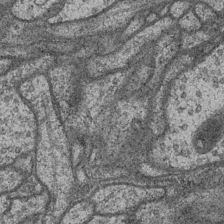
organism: Drosophila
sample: Optic medulla